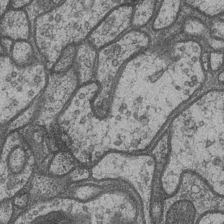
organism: Drosophila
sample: Optic medulla